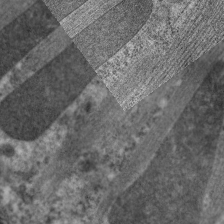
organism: C. elegans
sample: Pharynx